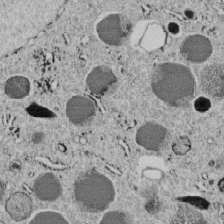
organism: C. elegans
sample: C. elegans embryo early stage